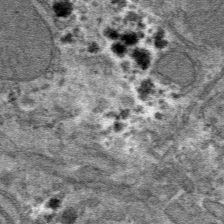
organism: Mouse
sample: Mouse hepatocytes